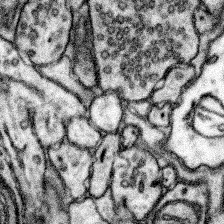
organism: Mouse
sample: Somatosensory cortex neuropil